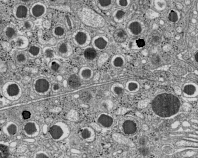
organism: C57BL Mouse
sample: Pancreatic islet